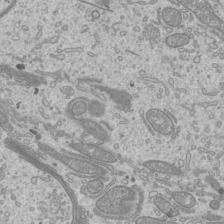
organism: Mouse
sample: Cilia; mouse epididymis